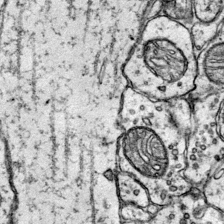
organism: Mouse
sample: Primary visual cortex